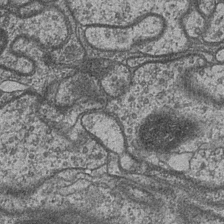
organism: Drosophila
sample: Optic medulla